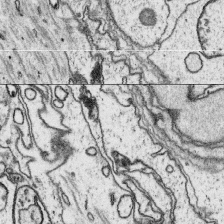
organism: Platynereis dumerilii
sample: Parapodia